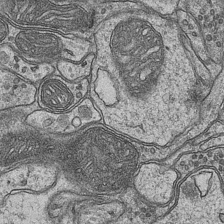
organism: Mouse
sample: CA1 Hippocampus